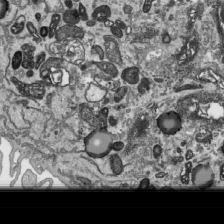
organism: Human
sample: Mitochondria in HCT116 cells